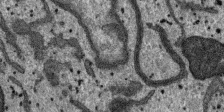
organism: Human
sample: Lung epithelial cells, uninfected (mock) control